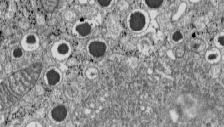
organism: C57BL Mouse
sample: Pancreatic islet